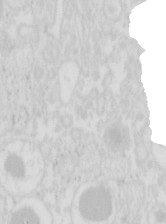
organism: Mouse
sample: Pancreas